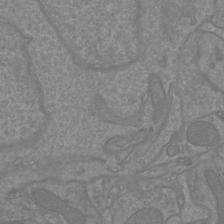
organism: Mouse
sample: Cortical neurons